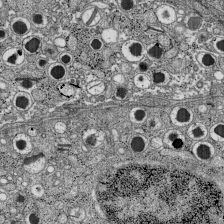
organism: C57BL Mouse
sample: Pancreatic islet